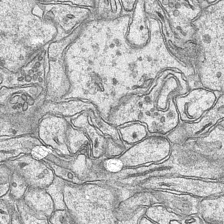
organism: Mouse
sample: CA1 Hippocampus